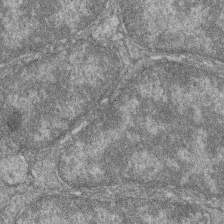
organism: Zebrafish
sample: Cilia; retinal pigment epithelium